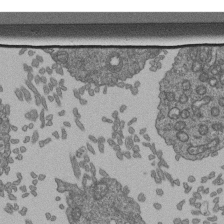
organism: Human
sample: Retinal organoid Rod and Cone cells